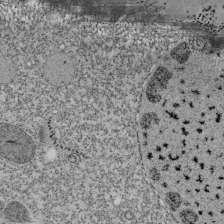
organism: Tetrahymena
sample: Cilia in tetrahymena